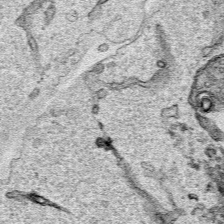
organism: Human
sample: Mitochondria in HCT116 cells